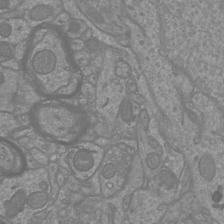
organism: Mouse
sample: Cortical neurons